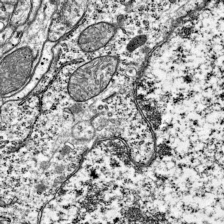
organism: Mouse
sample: Visual Cortex